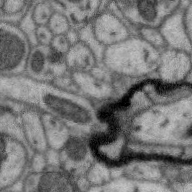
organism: Zebra finch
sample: Brain